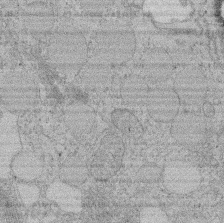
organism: Rat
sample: Salivary granule